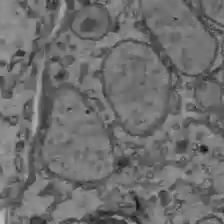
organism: C57BL Mouse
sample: Liver